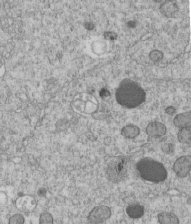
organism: C. elegans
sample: C. elegans embryo early stage